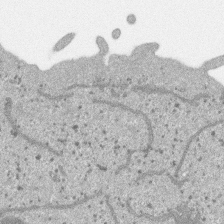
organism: Human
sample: Lung epithelial cells infected with SARS-CoV-2